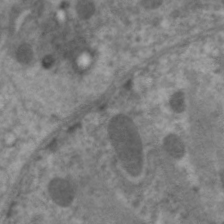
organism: C. elegans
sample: Pharynx